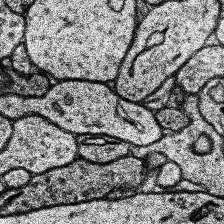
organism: Human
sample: Temporal Lobe